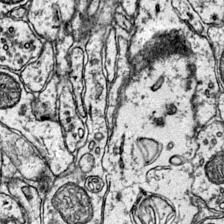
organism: Mouse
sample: Primary visual cortex